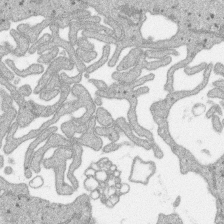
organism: Human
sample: Lung epithelial cells infected with SARS-CoV-2